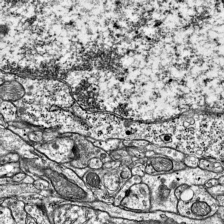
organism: Mouse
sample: Visual Cortex